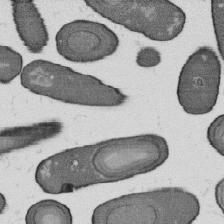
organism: B. subtilis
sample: Bacterial spore